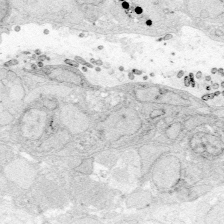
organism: Zebrafish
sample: Whole-Brain